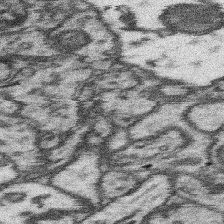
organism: Mouse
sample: Somatosensory cortex neuropil